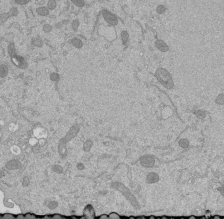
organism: Mouse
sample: ED-1 cell nuclei; centrioles